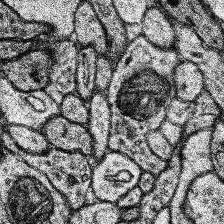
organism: Human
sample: Temporal Lobe